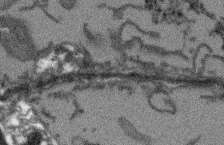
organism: Arabidopsis thaliana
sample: Root tip